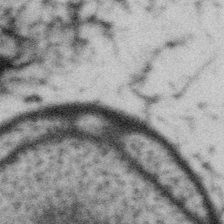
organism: Gemmata obscuriglobus